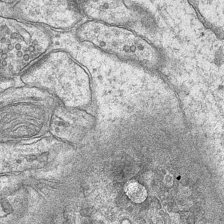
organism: Mouse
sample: CA1 Hippocampus